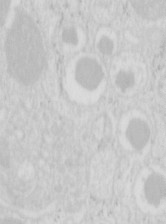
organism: Mouse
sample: Pancreas